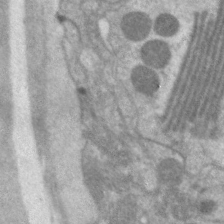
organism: C. elegans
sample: Pharynx